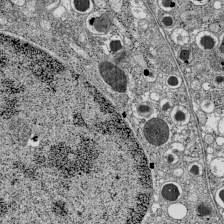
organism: C57BL Mouse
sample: Pancreatic islet